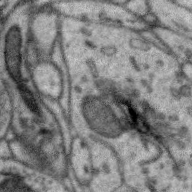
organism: Zebra finch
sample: Brain